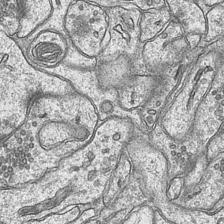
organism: Mouse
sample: CA1 Hippocampus